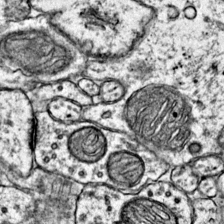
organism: Mouse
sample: Primary visual cortex